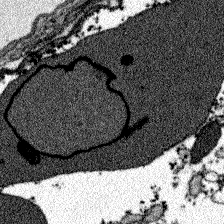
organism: Zebrafish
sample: Larval olfactory bulb